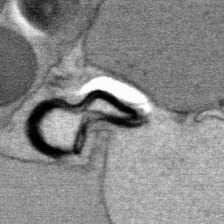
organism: Mouse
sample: Mouse Salivary gland